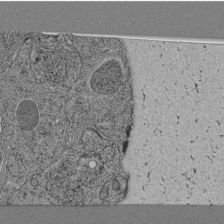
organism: C. elegans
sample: C. elegans pharynx